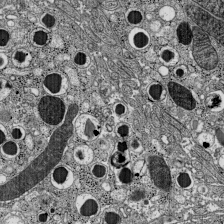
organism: C57BL Mouse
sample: Pancreatic islet